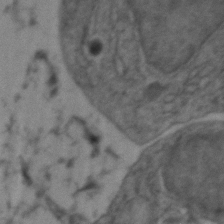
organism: Zebrafish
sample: Zebrafish embryo